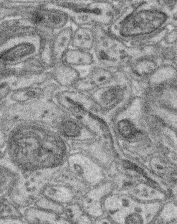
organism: Mouse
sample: Retina